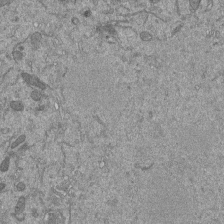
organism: Mouse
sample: ED-1 cell nuclei; centrioles